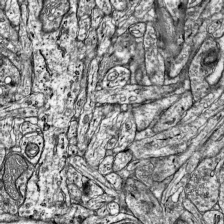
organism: Mouse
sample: Visual Cortex